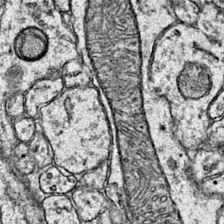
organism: Mouse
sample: Primary visual cortex